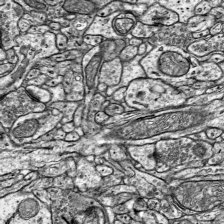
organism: Mouse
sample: Visual Cortex